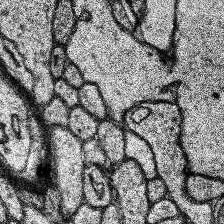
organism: Human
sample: Temporal Lobe